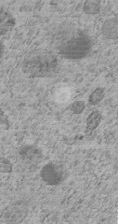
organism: C. elegans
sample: C. elegans embryo early stage